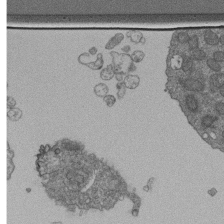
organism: Human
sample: Retinal organoid Rod and Cone cells